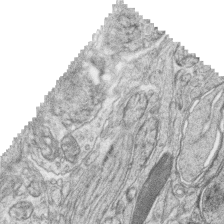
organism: Zebrafish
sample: synaptic ribbons in rod cells and cone cells